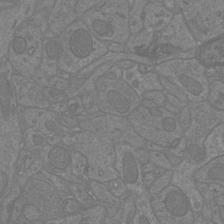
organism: Mouse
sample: Cortical neurons